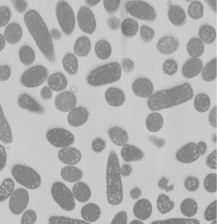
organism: E. coli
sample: Bacterial nucleoid